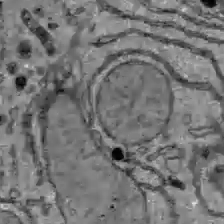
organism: C57BL Mouse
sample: Liver